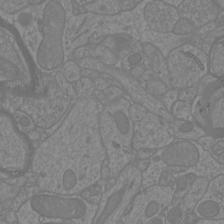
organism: Mouse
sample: Cortical neurons